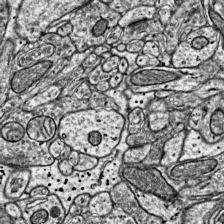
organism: Mouse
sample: Visual Cortex